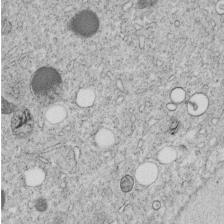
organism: C. elegans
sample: C. elegans embryo early stage